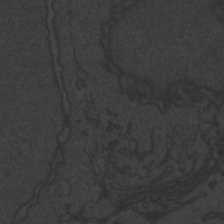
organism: Zebrafish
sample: Macrophage infected with Toxoplasma gondii